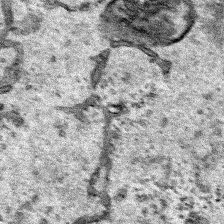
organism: Human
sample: Mitochondria in HCT116 cells